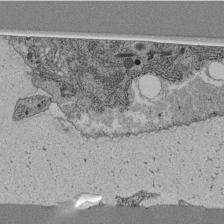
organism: C. elegans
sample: C. elegans pharynx